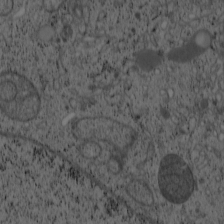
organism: African green monkey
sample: COS-7 cells